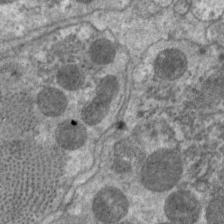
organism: C. elegans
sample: Pharynx